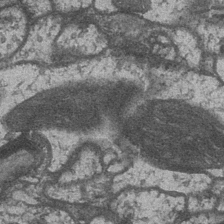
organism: Drosophila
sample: Optic medulla